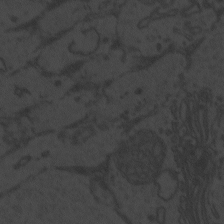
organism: Zebrafish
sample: Macrophage infected with Toxoplasma gondii